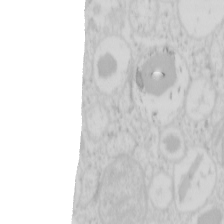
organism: Mouse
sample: Pancreas